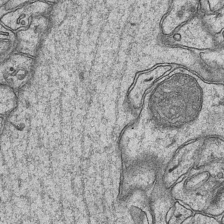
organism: Mouse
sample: CA1 Hippocampus